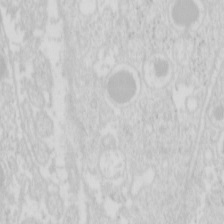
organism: Mouse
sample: Pancreas